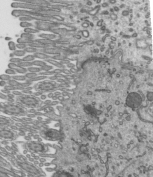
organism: Mouse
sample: Mouse epididymis efferent ductule cilia